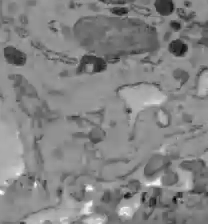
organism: C57BL Mouse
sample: Liver